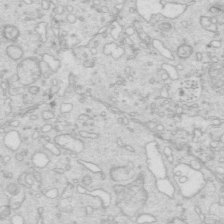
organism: Mouse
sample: Multiciliated cells